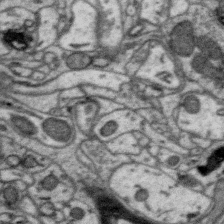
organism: Zebra finch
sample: Brain